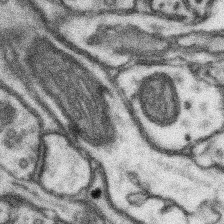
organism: Mouse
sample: Somatosensory cortex neuropil